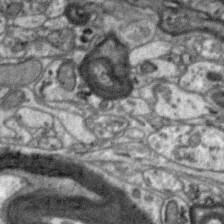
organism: Zebra finch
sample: Brain